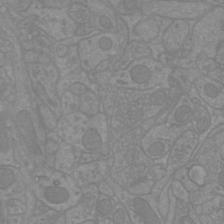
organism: Mouse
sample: Cortical neurons